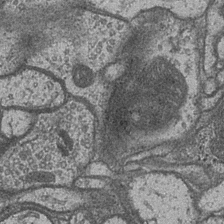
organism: Drosophila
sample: Optic medulla